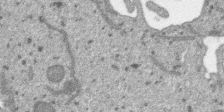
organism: Human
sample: Lung epithelial cells infected with SARS-CoV-2